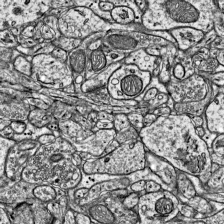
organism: Mouse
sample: Visual Cortex